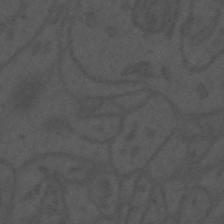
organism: Mouse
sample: Suprachiasmatic nucleus